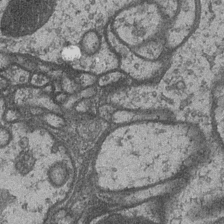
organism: Drosophila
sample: Optic medulla